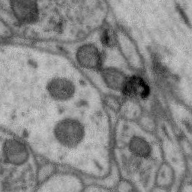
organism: Zebra finch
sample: Brain